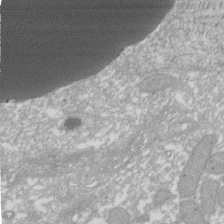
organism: Xenopus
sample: Cilia; centrioles in frog embryo cells